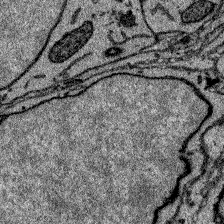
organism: Zebrafish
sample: Larval olfactory bulb